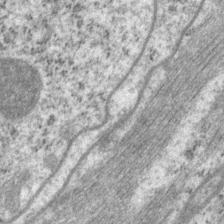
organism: P. pacificus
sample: Pharynx